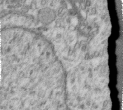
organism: Human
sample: Centriole in RPE cells